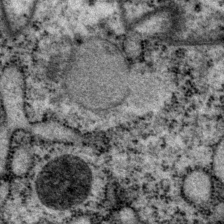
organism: P. pacificus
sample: Pharynx